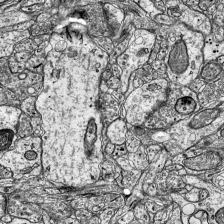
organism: Mouse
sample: Visual Cortex